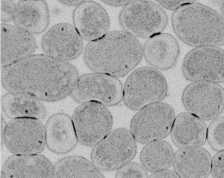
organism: E. coli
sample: Bacterial nucleoid